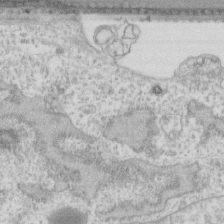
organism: Human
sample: Fibroblast cells